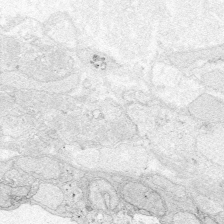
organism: Zebrafish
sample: Whole-Brain